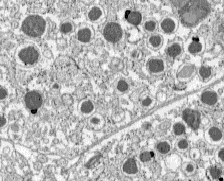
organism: C57BL Mouse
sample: Pancreatic islet